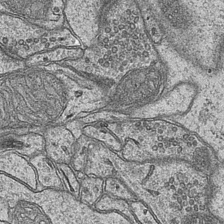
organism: Mouse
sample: CA1 Hippocampus